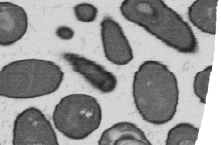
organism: B. subtilis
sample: Bacterial spore